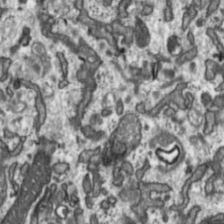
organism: Toxoplasma gondii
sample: Parasites in a vacuole inside a host cell